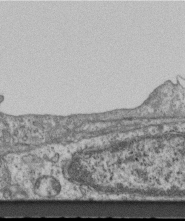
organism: Mouse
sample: Centriole in ependymal cells